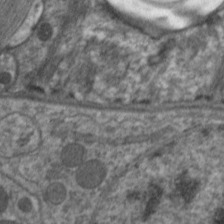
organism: C. elegans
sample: Pharynx